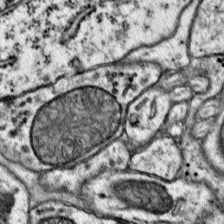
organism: Mouse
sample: Primary visual cortex